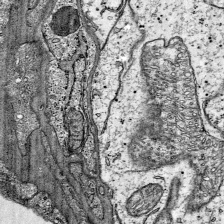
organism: Mouse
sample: Visual Cortex